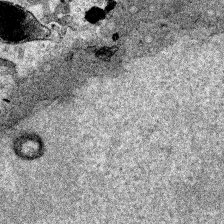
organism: Human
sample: Mitochondria in HCT116 cells